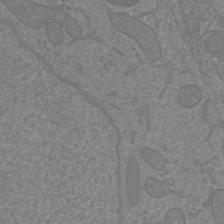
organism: Mouse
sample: Cortical neurons